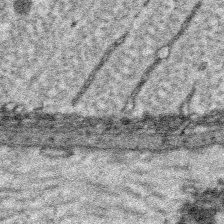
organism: Platynereis dumerilii